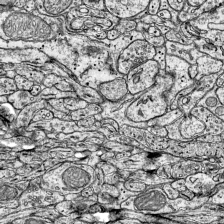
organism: Mouse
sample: Visual Cortex